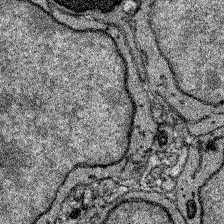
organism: Zebrafish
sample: Larval olfactory bulb